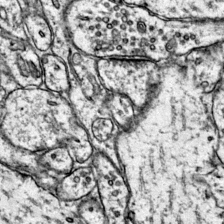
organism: Mouse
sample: Primary visual cortex